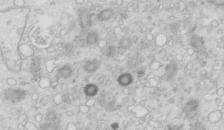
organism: Mouse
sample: Multiciliated cells